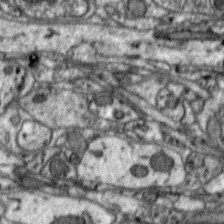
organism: Zebra finch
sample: Brain